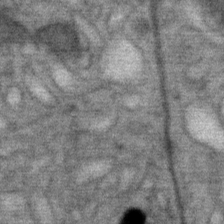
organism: Mouse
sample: Mouse Salivary gland